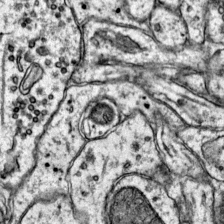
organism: Mouse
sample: Primary visual cortex